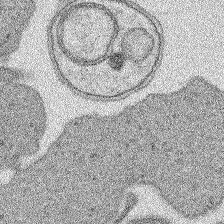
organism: Human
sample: HeLa cells